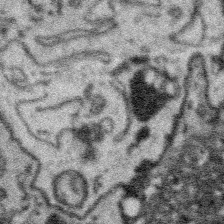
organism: Platynereis dumerilii